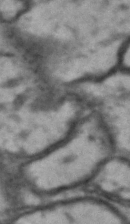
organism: Drosophila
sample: Brain